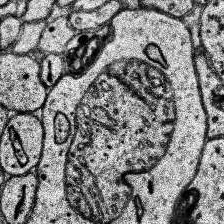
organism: Human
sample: Temporal Lobe